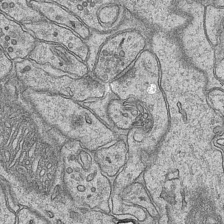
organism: Mouse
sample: CA1 Hippocampus